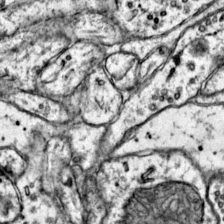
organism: Mouse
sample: Primary visual cortex